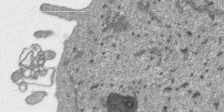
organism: Human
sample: Lung epithelial cells infected with SARS-CoV-2